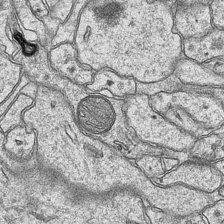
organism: Mouse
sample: CA1 Hippocampus